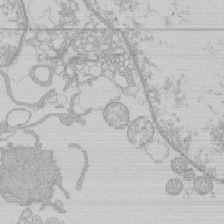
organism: Human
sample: Macrophage cells